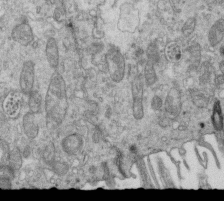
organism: Mouse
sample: Multiciliated cells